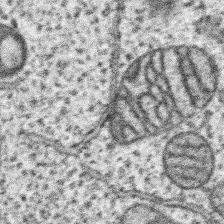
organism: Human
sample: HeLa cells